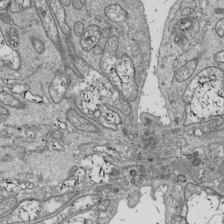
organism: Drosophila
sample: Cell division; meiosis; drosophila spermatocytes